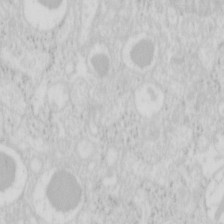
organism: Mouse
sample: Pancreas